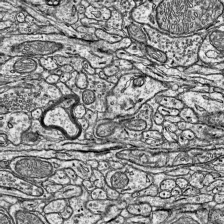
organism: Mouse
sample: Visual Cortex